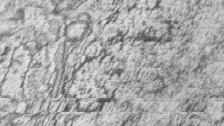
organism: Zebrafish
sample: synaptic ribbons in rod cells and cone cells